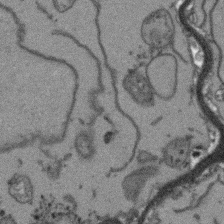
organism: Arabidopsis thaliana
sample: Root tip